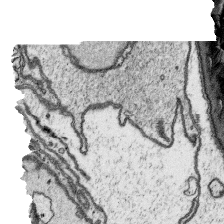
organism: Platynereis dumerilii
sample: Parapodia